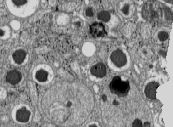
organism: C57BL Mouse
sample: Pancreatic islet